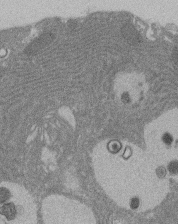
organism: Rat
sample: Salivary granule